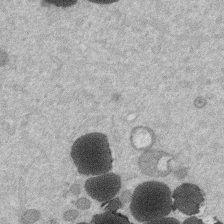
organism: Mouse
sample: Dividing mouse embryo 1 cell stage